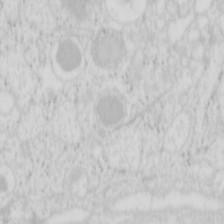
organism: Mouse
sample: Pancreas